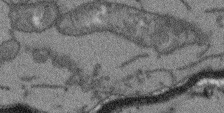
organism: Arabidopsis thaliana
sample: Root tip